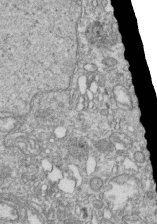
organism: Human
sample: HeLa cell HIV synapse